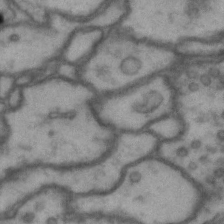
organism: Drosophila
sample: Brain